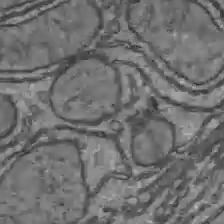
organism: C57BL Mouse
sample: Liver